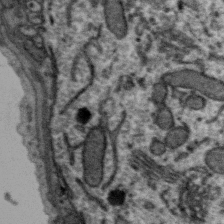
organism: Zebra finch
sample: Brain